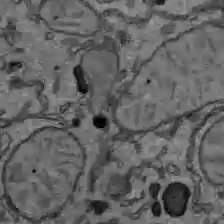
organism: C57BL Mouse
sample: Liver